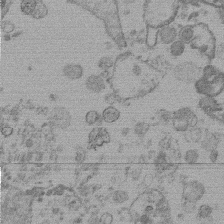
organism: Mouse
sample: Dividing mouse embryo 1 cell stage